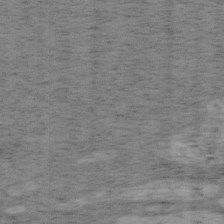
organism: Mouse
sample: OT-I killer T cells with ID8 ovarian cancer cells